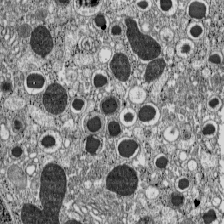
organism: C57BL Mouse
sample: Pancreatic islet